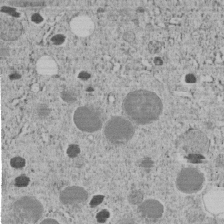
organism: C. elegans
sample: C. elegans embryo early stage